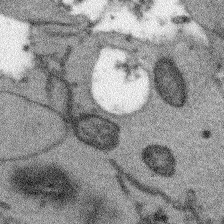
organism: Arabidopsis thaliana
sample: Root tip